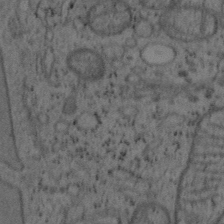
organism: Human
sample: HeLa cells